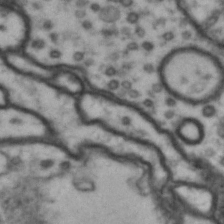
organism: Drosophila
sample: Brain